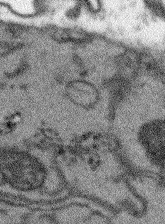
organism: Arabidopsis thaliana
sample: Root tip